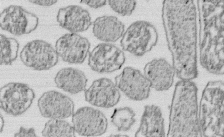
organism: E. coli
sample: Bacterial nucleoid